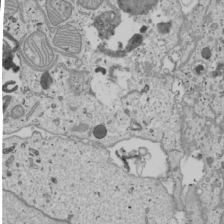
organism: Human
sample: Mitochondria in U2OS cells